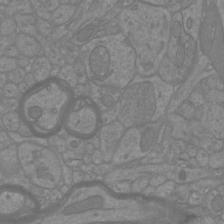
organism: Mouse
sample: Cortical neurons